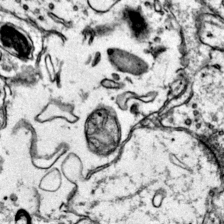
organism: Mouse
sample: Primary visual cortex